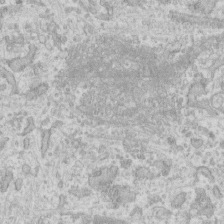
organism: Human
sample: Fibroblast cells